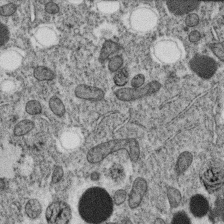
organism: C. elegans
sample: C. elegans oocyte; sperm cells